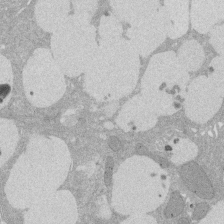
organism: Rat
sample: Salivary granule